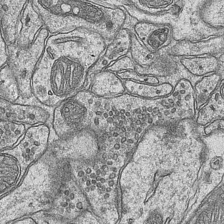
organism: Mouse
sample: CA1 Hippocampus